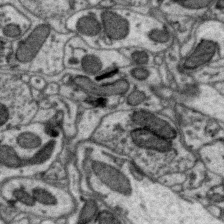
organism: Zebra finch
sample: Brain